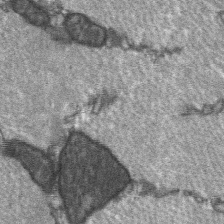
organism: C57BL Mouse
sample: Soleus